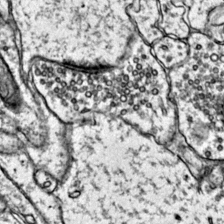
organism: Mouse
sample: Primary visual cortex